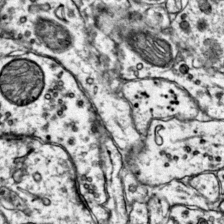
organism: Mouse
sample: Primary visual cortex